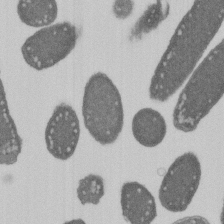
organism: E. coli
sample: Bacterial nucleoid